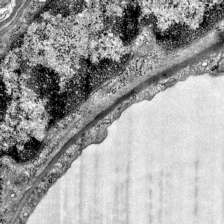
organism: Mouse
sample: Visual Cortex